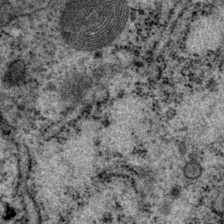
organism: P. pacificus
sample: Pharynx